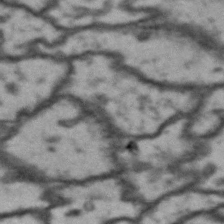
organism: Drosophila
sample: Brain